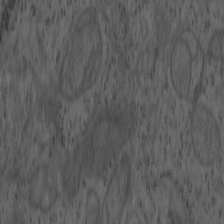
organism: Human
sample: HeLa cells